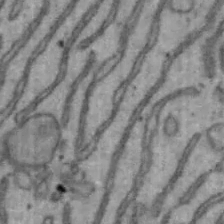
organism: Mouse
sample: Liver